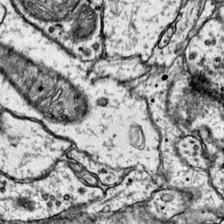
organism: Mouse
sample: Primary visual cortex